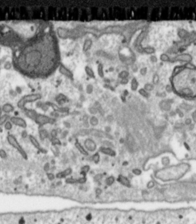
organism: Toxoplasma gondii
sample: Parasites in a vacuole inside a host cell